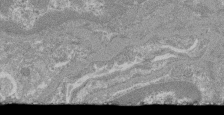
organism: Mouse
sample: Glomerulus